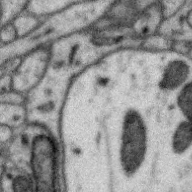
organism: Zebra finch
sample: Brain